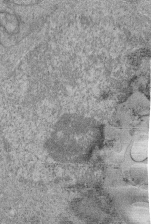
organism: Human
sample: Retinal organoid Rod and Cone cells